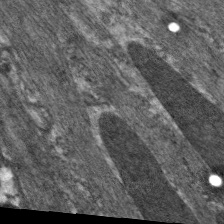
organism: C. elegans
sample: Pharynx